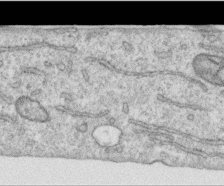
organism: Human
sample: Centriole in RPE cells